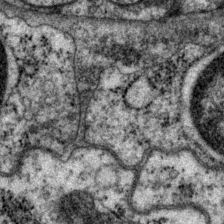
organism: P. pacificus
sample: Pharynx